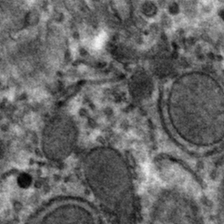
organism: Mouse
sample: Mouse hepatocytes